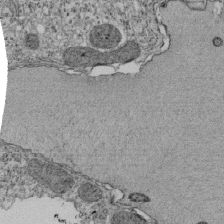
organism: Tetrahymena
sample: Cilia in tetrahymena